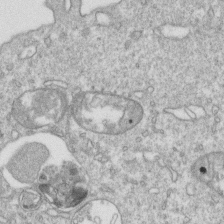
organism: Mouse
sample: Activated OT-1 CD8+ T cells